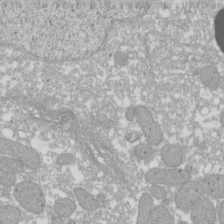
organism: Xenopus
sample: Cilia; centrioles in frog embryo cells